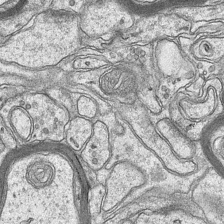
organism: Mouse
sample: CA1 Hippocampus